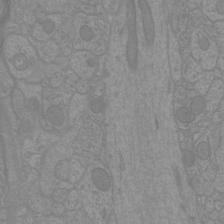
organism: Mouse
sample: Cortical neurons